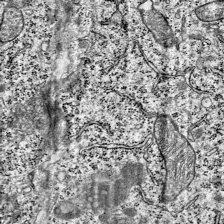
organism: Mouse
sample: Visual Cortex